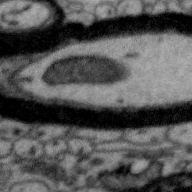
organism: Zebra finch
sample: Brain